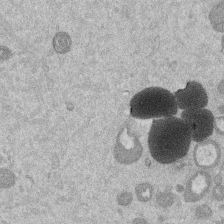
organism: Mouse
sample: Dividing mouse embryo 1 cell stage